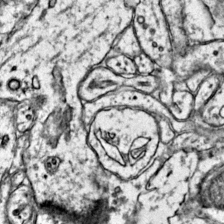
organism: Mouse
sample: Primary visual cortex